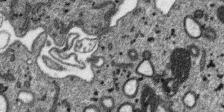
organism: Human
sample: Lung epithelial cells infected with SARS-CoV-2